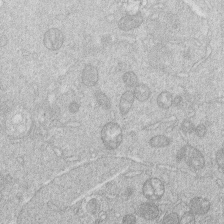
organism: Human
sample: Macrophage cells